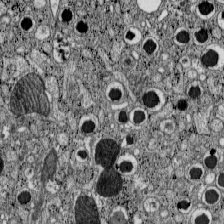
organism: C57BL Mouse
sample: Pancreatic islet